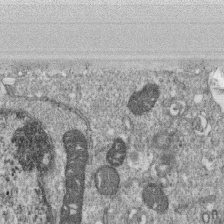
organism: African green monkey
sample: Vero E6 cells infected with SARS-CoV-2